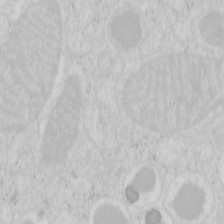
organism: Mouse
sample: Pancreas